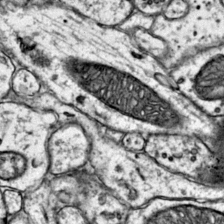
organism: Mouse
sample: Primary visual cortex